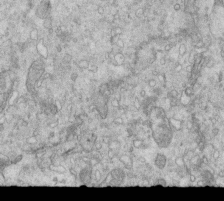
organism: Mouse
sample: Multiciliated cells